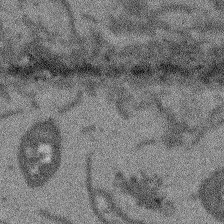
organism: Arabidopsis thaliana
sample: Root tip